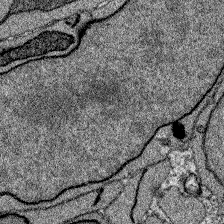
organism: Zebrafish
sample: Larval olfactory bulb